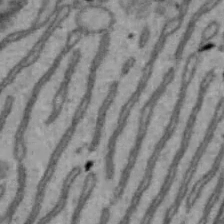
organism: Mouse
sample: Liver